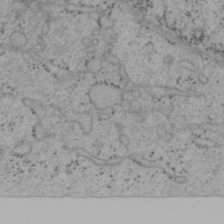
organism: Human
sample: HeLa cells